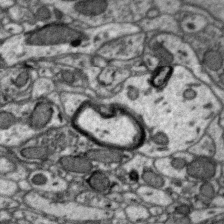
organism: Zebra finch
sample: Brain